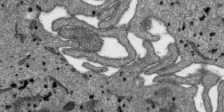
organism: Human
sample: Lung epithelial cells, uninfected (mock) control